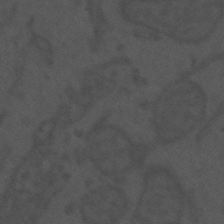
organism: Mouse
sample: Suprachiasmatic nucleus